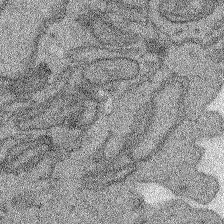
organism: Human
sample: HeLa cells